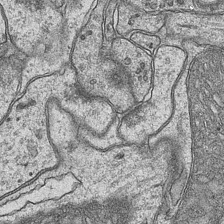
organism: Mouse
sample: CA1 Hippocampus